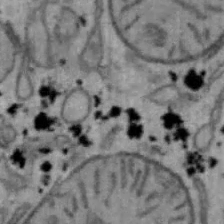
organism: Mouse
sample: Liver